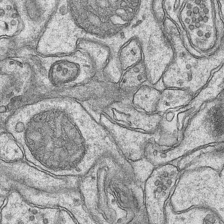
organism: Mouse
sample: CA1 Hippocampus